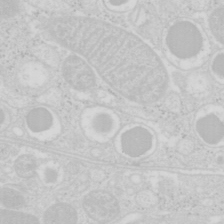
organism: Mouse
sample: Pancreas